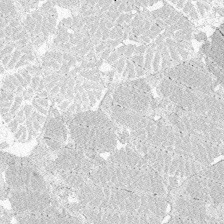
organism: Zebrafish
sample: Whole-Brain